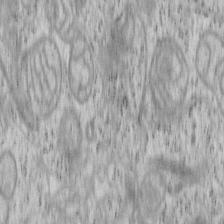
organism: Human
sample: HeLa cells